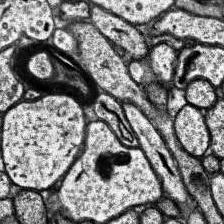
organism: Human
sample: Temporal Lobe